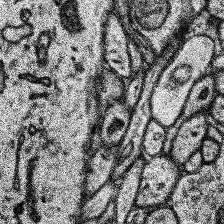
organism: Human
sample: Temporal Lobe